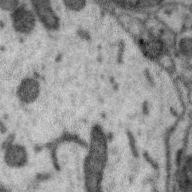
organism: Zebra finch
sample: Brain